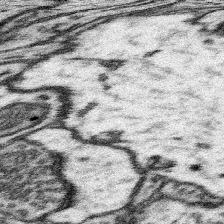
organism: Mouse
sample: Somatosensory cortex neuropil